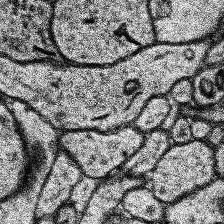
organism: Human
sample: Temporal Lobe